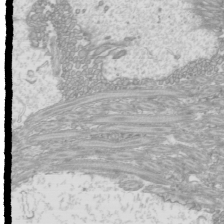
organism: Mouse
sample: Cilia; mouse epididymis